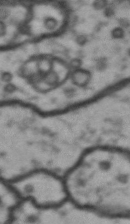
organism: Drosophila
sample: Brain